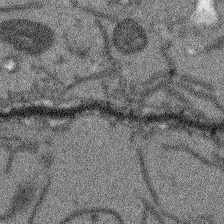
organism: Arabidopsis thaliana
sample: Root tip